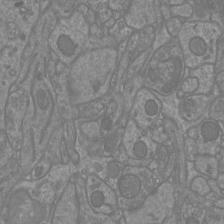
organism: Mouse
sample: Cortical neurons